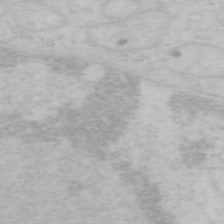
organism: Mouse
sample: OT-I killer T cells with ID8 ovarian cancer cells